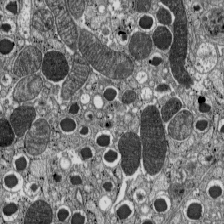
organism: C57BL Mouse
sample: Pancreatic islet